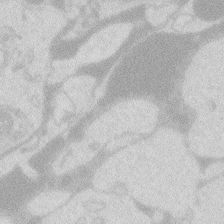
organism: Zebrafish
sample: Macrophage